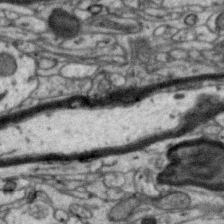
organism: Zebra finch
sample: Brain